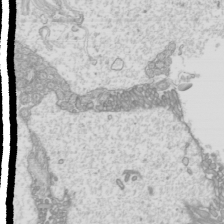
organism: Mouse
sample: Cilia; mouse epididymis